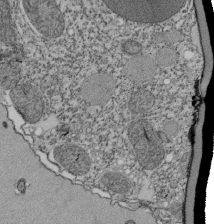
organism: Tetrahymena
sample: Cilia in tetrahymena